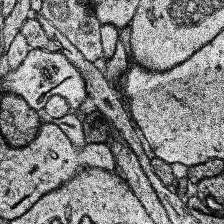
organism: Human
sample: Temporal Lobe